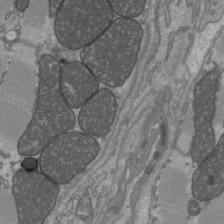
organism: C57BL Mouse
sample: Heart